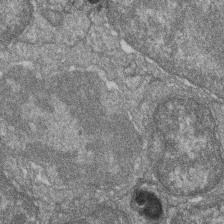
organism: Zebrafish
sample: Cilia; retinal pigment epithelium